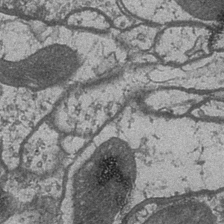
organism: Drosophila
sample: Optic medulla